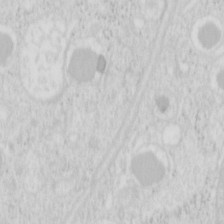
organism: Mouse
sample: Pancreas